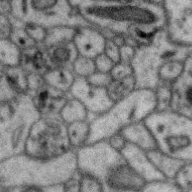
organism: Zebra finch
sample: Brain